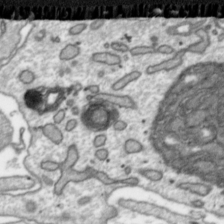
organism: Toxoplasma gondii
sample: Parasites in a vacuole inside a host cell